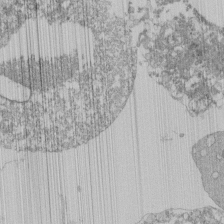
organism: Mouse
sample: Activated Pmel transgenic CD8+ T Cells